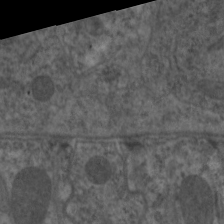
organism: C. elegans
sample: Pharynx